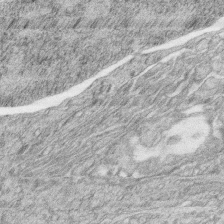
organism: Zebrafish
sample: synaptic ribbons in rod cells and cone cells